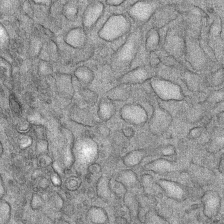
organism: Mouse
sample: Mouse Salivary gland